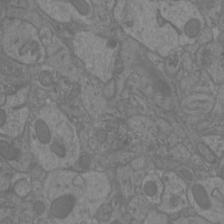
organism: Mouse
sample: Cortical neurons